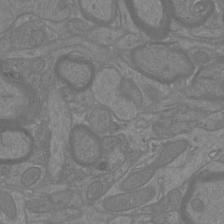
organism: Mouse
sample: Cortical neurons